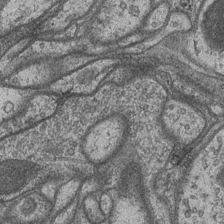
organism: Drosophila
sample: Optic medulla